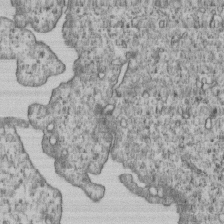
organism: Human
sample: MDA-MB-231 cells